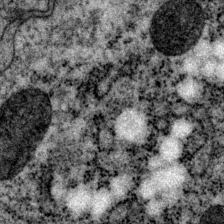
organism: P. pacificus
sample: Pharynx